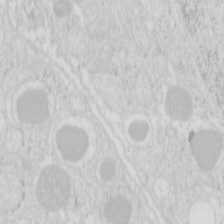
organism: Mouse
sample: Pancreas